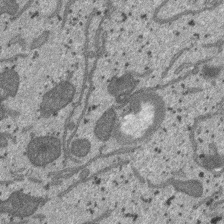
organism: Human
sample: Lung epithelial cells infected with SARS-CoV-2